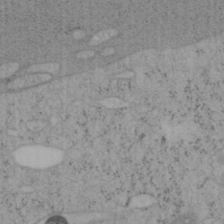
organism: Mouse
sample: OT-I killer T cells with ID8 ovarian cancer cells